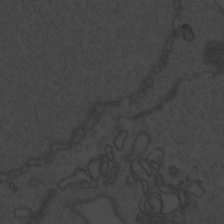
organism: Zebrafish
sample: Macrophage infected with Toxoplasma gondii